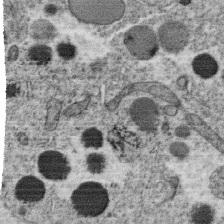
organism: C. elegans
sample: C. elegans oocyte; sperm cells